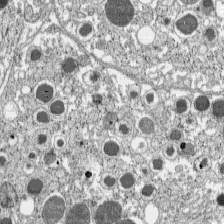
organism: C57BL Mouse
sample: Pancreatic islet